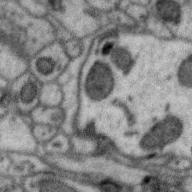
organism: Zebra finch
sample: Brain